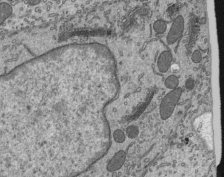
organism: Mouse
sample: Mouse epididymis efferent ductule cilia